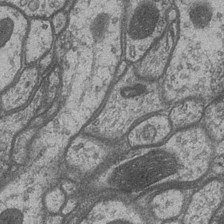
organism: Drosophila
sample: Optic medulla